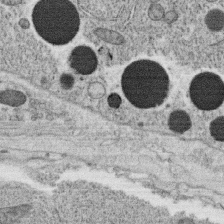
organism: C. elegans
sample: C. elegans oocyte; sperm cells